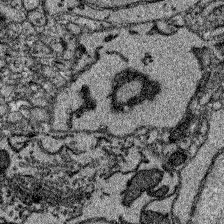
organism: Zebrafish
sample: Larval olfactory bulb